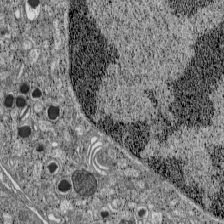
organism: C57BL Mouse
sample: Pancreatic islet